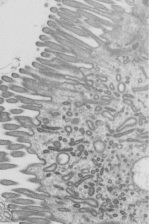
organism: Mouse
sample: Mouse epididymis efferent ductule cilia